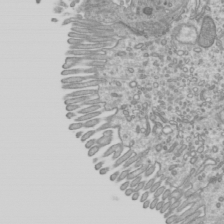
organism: Mouse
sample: Cilia; mouse epididymis